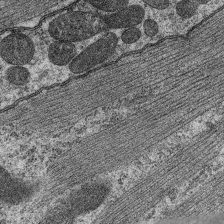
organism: C. elegans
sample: Pharynx